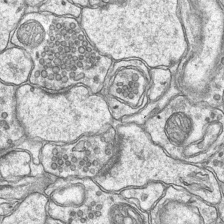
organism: Mouse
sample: CA1 Hippocampus